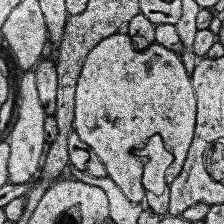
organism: Human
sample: Temporal Lobe